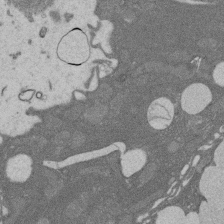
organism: Rat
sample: Salivary granule